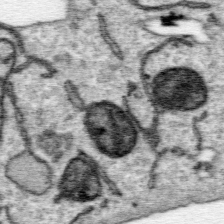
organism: Human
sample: HeLa cells